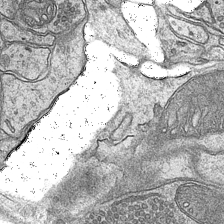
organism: Mouse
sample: CA1 Hippocampus